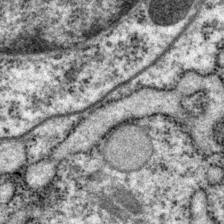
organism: P. pacificus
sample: Pharynx